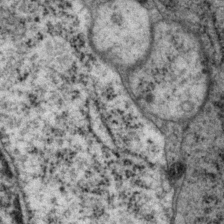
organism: P. pacificus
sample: Pharynx